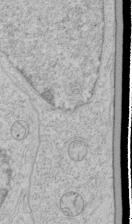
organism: Human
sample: Mitochondria in HCT116 cells